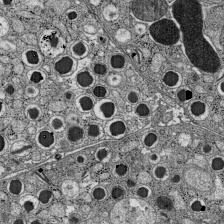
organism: C57BL Mouse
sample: Pancreatic islet